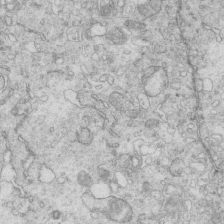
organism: Mouse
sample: Multiciliated cells